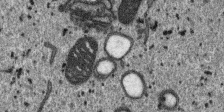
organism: Human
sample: Lung epithelial cells infected with SARS-CoV-2